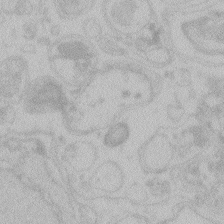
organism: Zebrafish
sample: Macrophage infected with Toxoplasma gondii